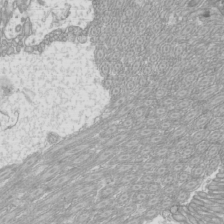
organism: Mouse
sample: Cilia; mouse epididymis